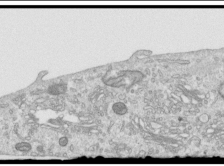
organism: Human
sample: Centriole in RPE cells